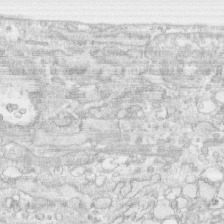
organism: Human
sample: CRL-1474